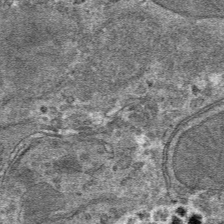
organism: Mouse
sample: Mouse hepatocytes